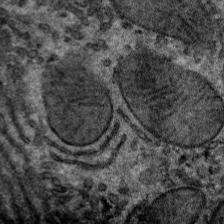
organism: Mouse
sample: Mouse hepatocytes